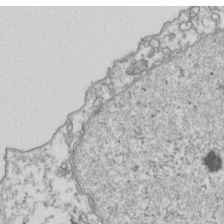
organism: Human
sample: Activated Jurkat CD4+ T cells